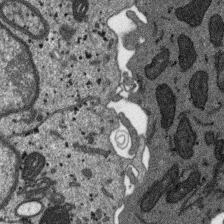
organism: Human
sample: Lung epithelial cells infected with SARS-CoV-2